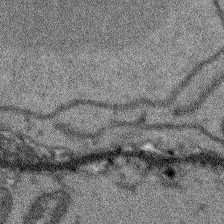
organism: Arabidopsis thaliana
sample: Root tip